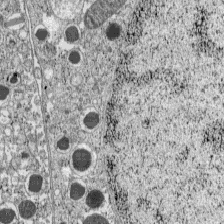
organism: C57BL Mouse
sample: Pancreatic islet